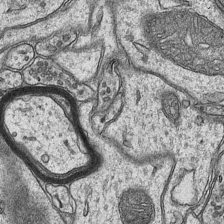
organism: Mouse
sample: CA1 Hippocampus